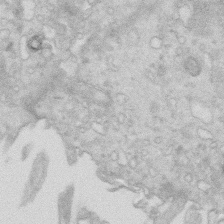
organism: Mouse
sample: Multiciliated cells